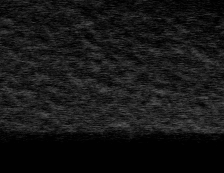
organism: Human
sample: HeLa cells